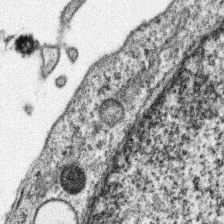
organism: Human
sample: HeLa cells